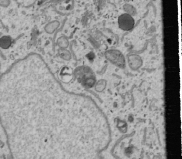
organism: Human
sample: Mitochondria in U2OS cells